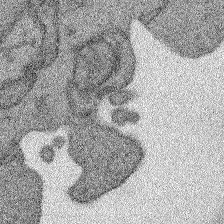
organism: Human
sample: HeLa cells